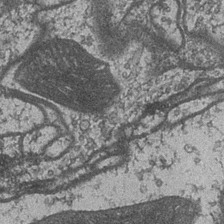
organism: Drosophila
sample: Optic medulla